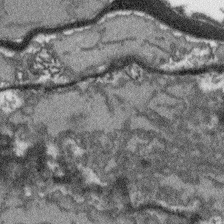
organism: Arabidopsis thaliana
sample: Root tip